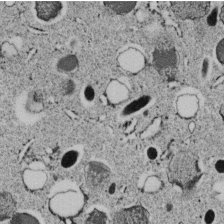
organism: C. elegans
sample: C. elegans embryo early stage